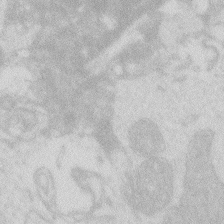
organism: Zebrafish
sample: Macrophage